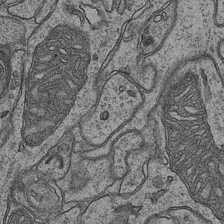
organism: Mouse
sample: CA1 Hippocampus